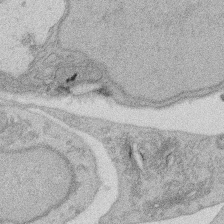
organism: Rat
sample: Salivary granule